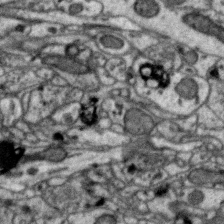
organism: Zebra finch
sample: Brain